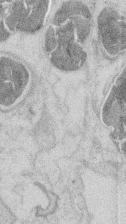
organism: Mouse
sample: T cell stromal cell synapse